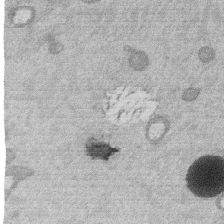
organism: Mouse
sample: Dividing mouse embryo 1 cell stage